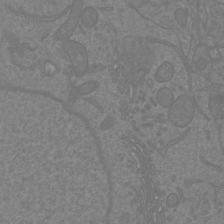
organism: Mouse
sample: Cortical neurons